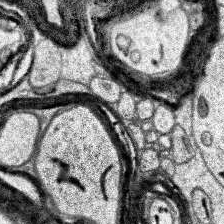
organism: Human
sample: Temporal Lobe